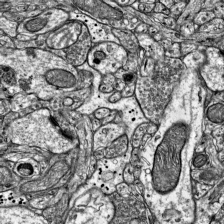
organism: Mouse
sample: Visual Cortex